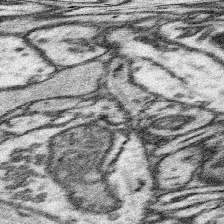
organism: Mouse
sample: Somatosensory cortex neuropil